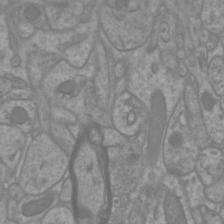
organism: Mouse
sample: Cortical neurons